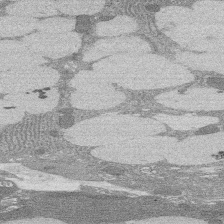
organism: Rat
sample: Salivary granule